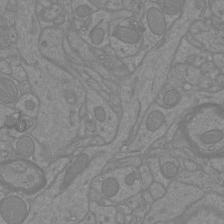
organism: Mouse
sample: Cortical neurons